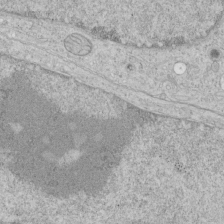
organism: Human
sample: Mitochondria in HCT116 cells